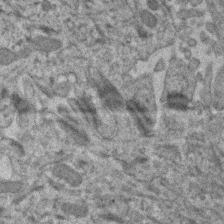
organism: Human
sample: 1205lu cells